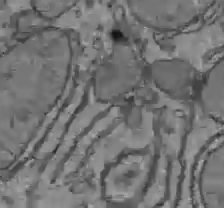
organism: C57BL Mouse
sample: Liver